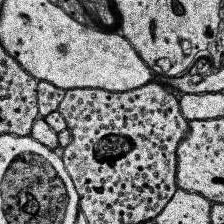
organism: Human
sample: Temporal Lobe